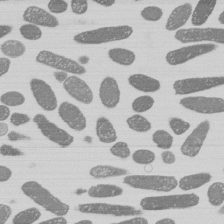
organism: E. coli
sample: Bacterial nucleoid